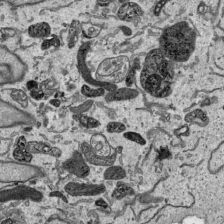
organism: Human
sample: Mitochondria in HCT116 cells